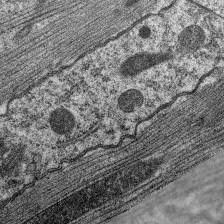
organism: C. elegans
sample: Pharynx